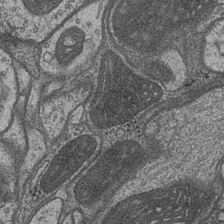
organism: Drosophila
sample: Optic medulla